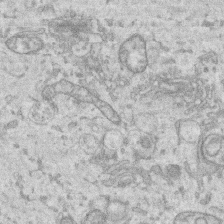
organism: Human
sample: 1205lu cells